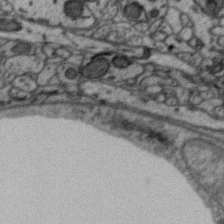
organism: Zebra finch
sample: Brain